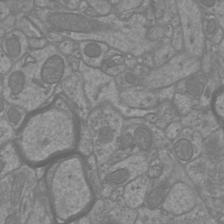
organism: Mouse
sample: Cortical neurons